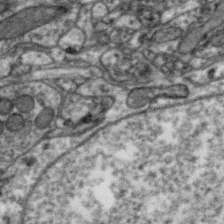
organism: Zebra finch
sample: Brain